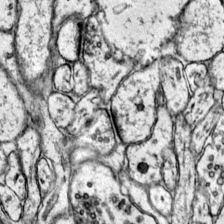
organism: Mouse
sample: Primary visual cortex